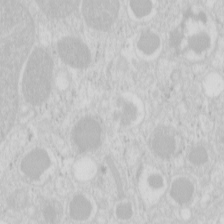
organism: Mouse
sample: Pancreas